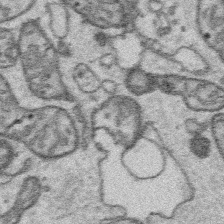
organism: Platynereis dumerilii